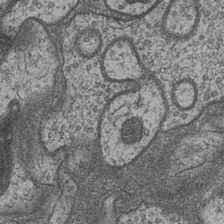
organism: Drosophila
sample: Optic medulla